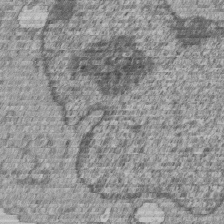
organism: Human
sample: MDA-MB-231 cells